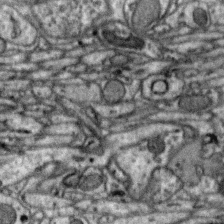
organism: Zebra finch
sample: Brain